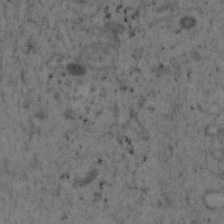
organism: Human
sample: HeLa cells